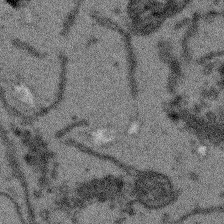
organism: Arabidopsis thaliana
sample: Root tip